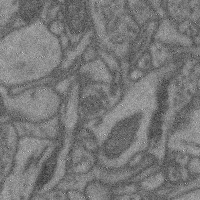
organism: Mouse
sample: Cerebral cortex